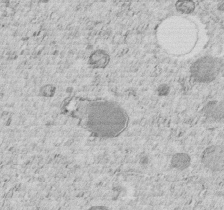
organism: C. elegans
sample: C. elegans embryo early stage